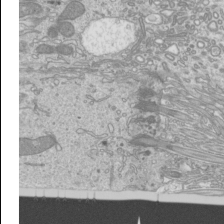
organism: Mouse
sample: Cilia; mouse epididymis